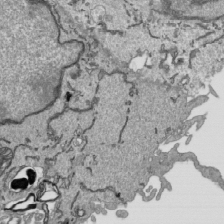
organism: Human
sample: Mitochondria in HCT116 cells